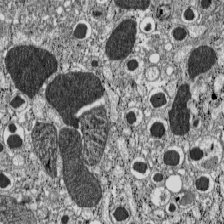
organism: C57BL Mouse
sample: Pancreatic islet